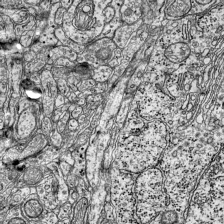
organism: Mouse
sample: Visual Cortex